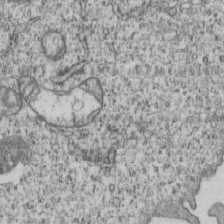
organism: Human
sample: MDA-MB-231 cells